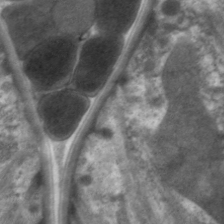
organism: C. elegans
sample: Pharynx